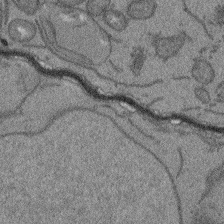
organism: Arabidopsis thaliana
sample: Root tip